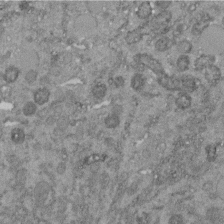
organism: C. elegans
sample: C. elegans embryo early stage